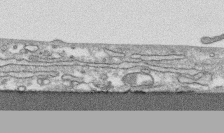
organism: Human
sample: CRL-1474